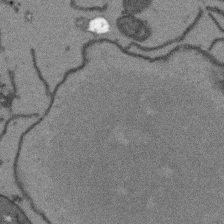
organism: Arabidopsis thaliana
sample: Root tip